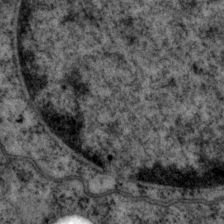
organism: P. pacificus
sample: Pharynx